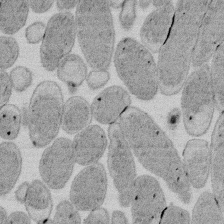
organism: E. coli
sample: Bacterial nucleoid